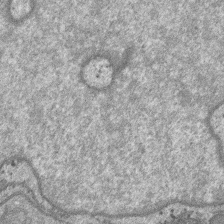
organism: Human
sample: Lung epithelial cells infected with SARS-CoV-2